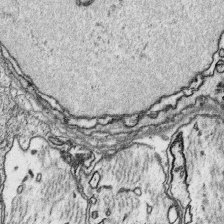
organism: Platynereis dumerilii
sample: Parapodia